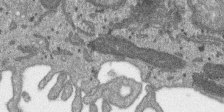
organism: Human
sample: Lung epithelial cells infected with SARS-CoV-2